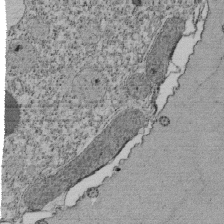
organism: Tetrahymena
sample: Cilia in tetrahymena